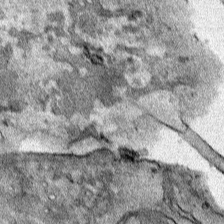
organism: Human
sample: Mitochondria in HCT116 cells